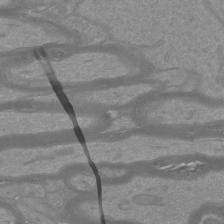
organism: Mouse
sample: Cortical neurons